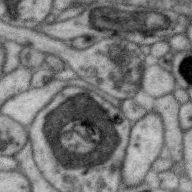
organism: Zebra finch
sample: Brain